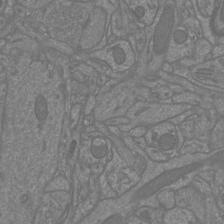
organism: Mouse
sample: Cortical neurons